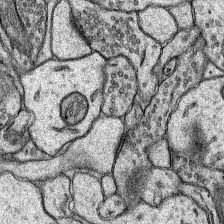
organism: Rat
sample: Hippocampus